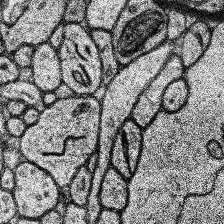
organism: Human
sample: Temporal Lobe